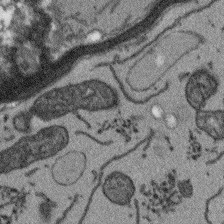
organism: Arabidopsis thaliana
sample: Root tip